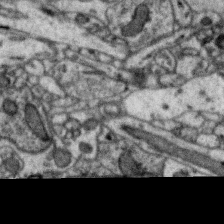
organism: Zebra finch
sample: Brain